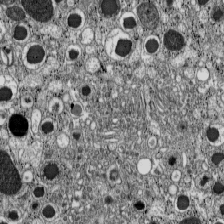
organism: C57BL Mouse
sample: Pancreatic islet